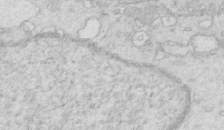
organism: Mouse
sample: Multiciliated cells